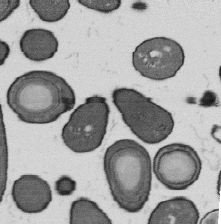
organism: B. subtilis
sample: Bacterial spore